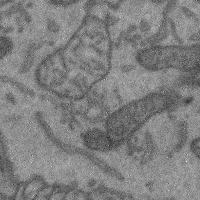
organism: Mouse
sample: Cerebral cortex